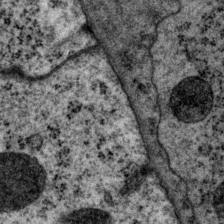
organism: P. pacificus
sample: Pharynx